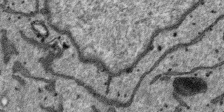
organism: Human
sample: Lung epithelial cells, uninfected (mock) control